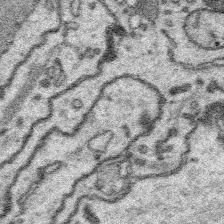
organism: Platynereis dumerilii